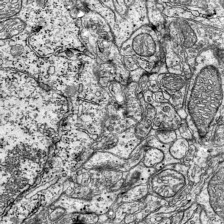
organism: Mouse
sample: Visual Cortex